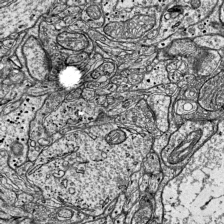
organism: Mouse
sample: Visual Cortex